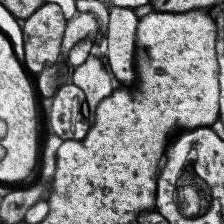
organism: Human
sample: Temporal Lobe